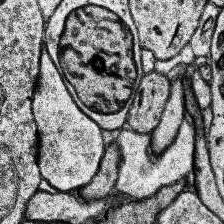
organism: Human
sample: Temporal Lobe